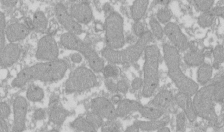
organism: Xenopus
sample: Cilia; centrioles in frog embryo cells